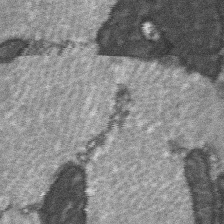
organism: C57BL Mouse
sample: Soleus